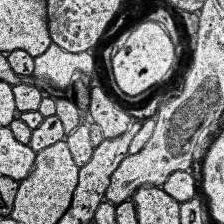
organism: Human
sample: Temporal Lobe